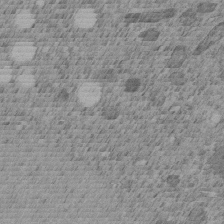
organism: C. elegans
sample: C. elegans embryo early stage